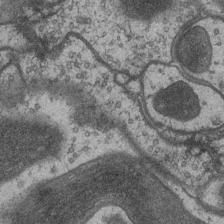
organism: Drosophila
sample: Optic medulla